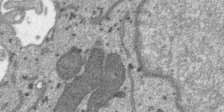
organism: Human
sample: Lung epithelial cells infected with SARS-CoV-2